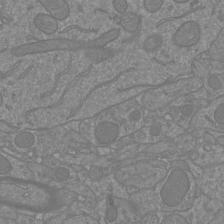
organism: Mouse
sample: Cortical neurons